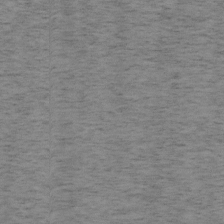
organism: Mouse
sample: OT-I killer T cells with ID8 ovarian cancer cells